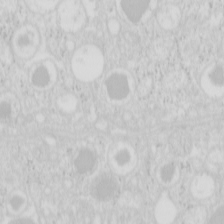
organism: Mouse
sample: Pancreas